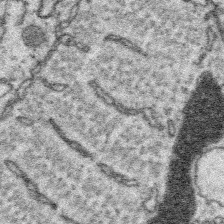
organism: Platynereis dumerilii